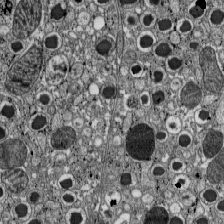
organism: C57BL Mouse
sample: Pancreatic islet